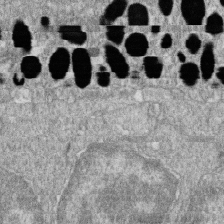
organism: Zebrafish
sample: Cilia; retinal pigment epithelium